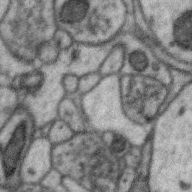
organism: Zebra finch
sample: Brain